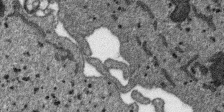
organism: Human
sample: Lung epithelial cells infected with SARS-CoV-2